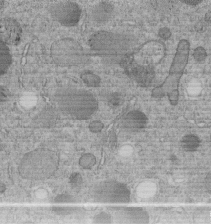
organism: C. elegans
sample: C. elegans embryo early stage